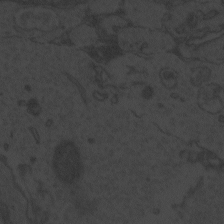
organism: Zebrafish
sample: Macrophage infected with Toxoplasma gondii